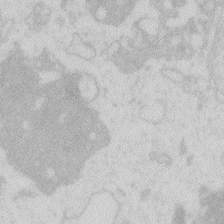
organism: Zebrafish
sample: Macrophage